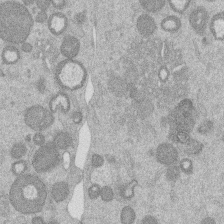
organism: Mouse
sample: Dividing mouse embryo 1 cell stage